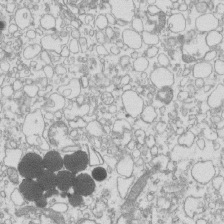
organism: Mouse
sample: Macrophages